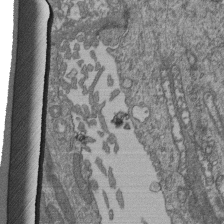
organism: Human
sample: Retinal organoid Rod and Cone cells